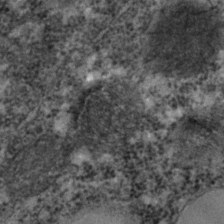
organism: C. elegans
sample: C. elegans embryo